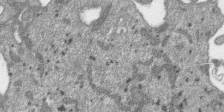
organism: Human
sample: Lung epithelial cells infected with SARS-CoV-2